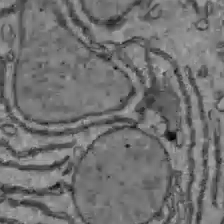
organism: C57BL Mouse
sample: Liver